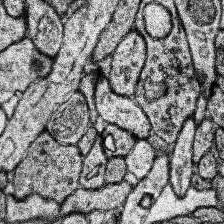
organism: Human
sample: Temporal Lobe